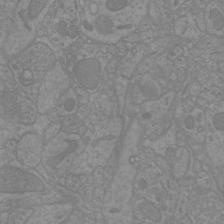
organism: Mouse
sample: Cortical neurons